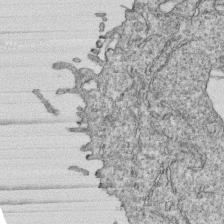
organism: Human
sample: HeLa cell HIV synapse